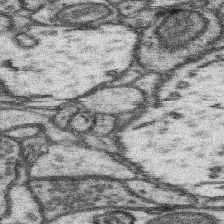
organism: Mouse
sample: Somatosensory cortex neuropil